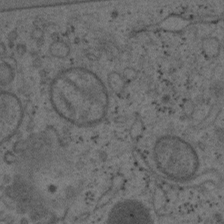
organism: Human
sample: HeLa cells